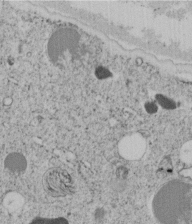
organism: C. elegans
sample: C. elegans embryo early stage